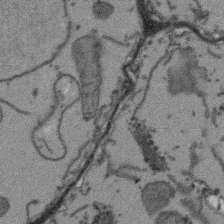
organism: Arabidopsis thaliana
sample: Root tip